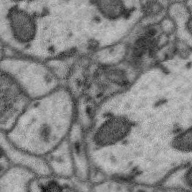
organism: Zebra finch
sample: Brain